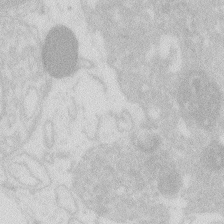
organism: Zebrafish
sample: Macrophage